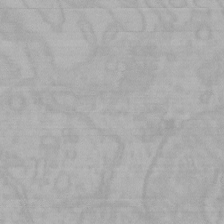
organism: Mouse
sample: Choroid plexus